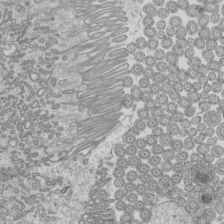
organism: Mouse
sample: Cilia; mouse epididymis